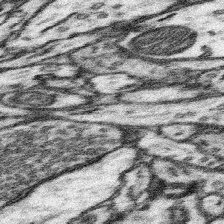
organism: Mouse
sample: Somatosensory cortex neuropil